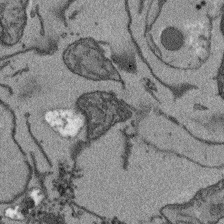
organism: Arabidopsis thaliana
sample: Root tip